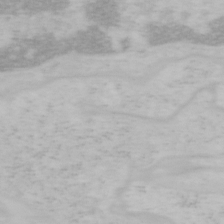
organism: Mouse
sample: OT-I killer T cells with ID8 ovarian cancer cells